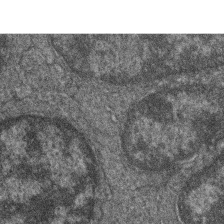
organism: Zebrafish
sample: Cilia; retinal pigment epithelium